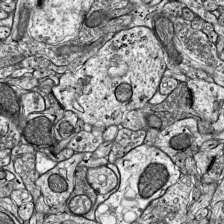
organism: Mouse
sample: Visual Cortex